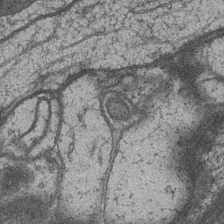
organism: Drosophila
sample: Optic medulla